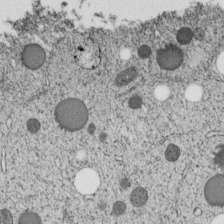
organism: C. elegans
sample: C. elegans embryo early stage